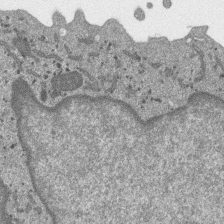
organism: Human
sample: Lung epithelial cells infected with SARS-CoV-2